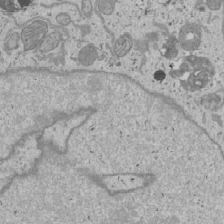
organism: Human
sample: Mitochondria in U2OS cells